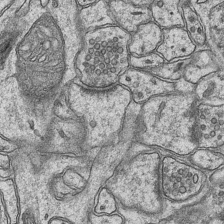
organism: Mouse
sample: CA1 Hippocampus